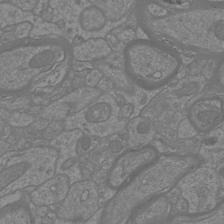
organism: Mouse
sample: Cortical neurons